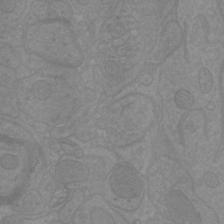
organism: Mouse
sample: Cortical neurons